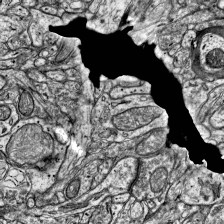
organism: Mouse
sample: Visual Cortex